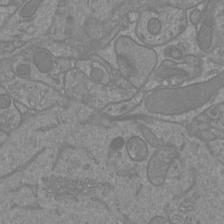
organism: Mouse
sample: Cortical neurons